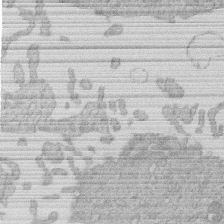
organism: Human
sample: Macrophage cells